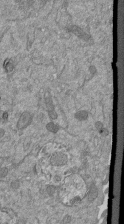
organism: Mouse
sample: ED-1 cell nuclei; centrioles